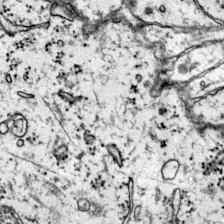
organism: Mouse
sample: Primary visual cortex